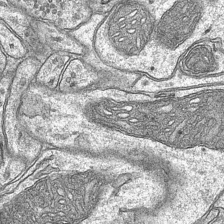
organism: Mouse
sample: CA1 Hippocampus